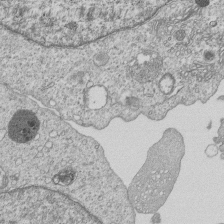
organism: Human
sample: MDA-MB-231 cells